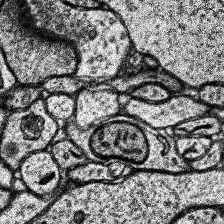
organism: Human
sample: Temporal Lobe